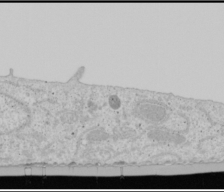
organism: Human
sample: Mitochondria in U2OS cells